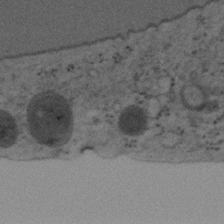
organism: Human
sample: HeLa cells